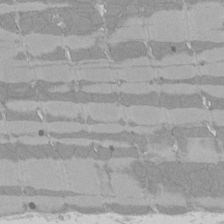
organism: Rat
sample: Left ventricle